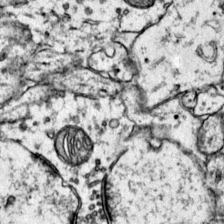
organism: Mouse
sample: Primary visual cortex